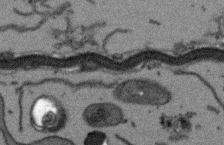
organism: Arabidopsis thaliana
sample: Root tip